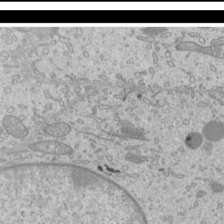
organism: Mouse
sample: Cilia; mouse epididymis